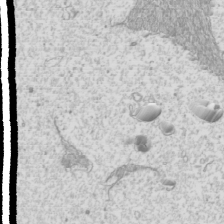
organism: Mouse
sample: Cilia; mouse epididymis